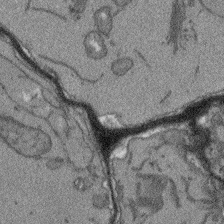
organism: Arabidopsis thaliana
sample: Root tip